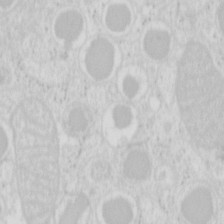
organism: Mouse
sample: Pancreas